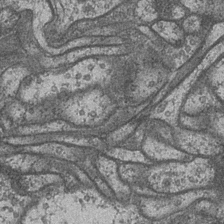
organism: Drosophila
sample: Optic medulla